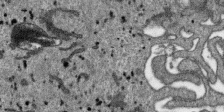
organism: Human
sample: Lung epithelial cells, uninfected (mock) control